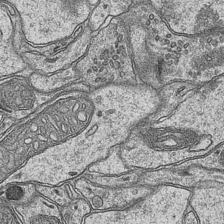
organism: Mouse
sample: CA1 Hippocampus